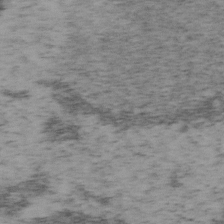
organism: Mouse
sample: OT-I killer T cells with ID8 ovarian cancer cells